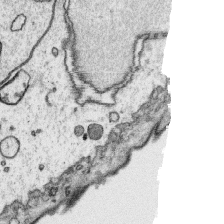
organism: Platynereis dumerilii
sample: Parapodia